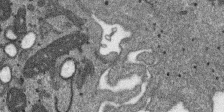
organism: Human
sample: Lung epithelial cells infected with SARS-CoV-2